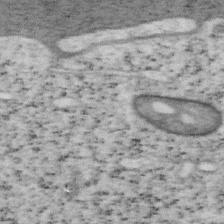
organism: Mouse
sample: OT-I killer T cells with ID8 ovarian cancer cells